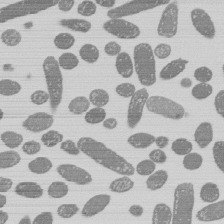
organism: E. coli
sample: Bacterial nucleoid